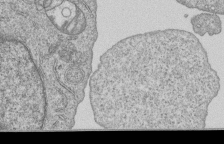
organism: Human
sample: MDA-MB-231 cells